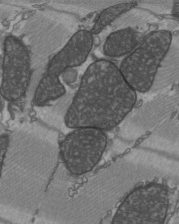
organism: C57BL Mouse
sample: Heart